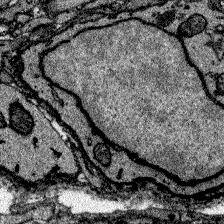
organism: Zebrafish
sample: Larval olfactory bulb